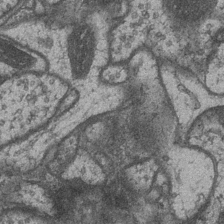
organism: Drosophila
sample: Optic medulla